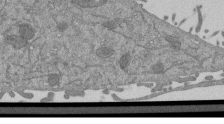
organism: Mouse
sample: ED-1 cell nuclei; centrioles